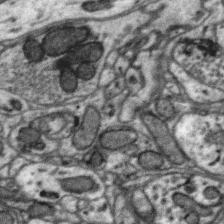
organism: Zebra finch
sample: Brain